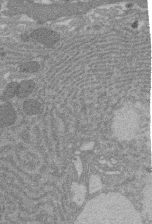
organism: Rat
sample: Salivary granule